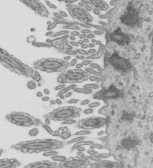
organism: Mouse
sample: Mouse epididymis efferent ductule cilia